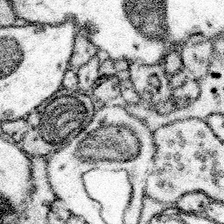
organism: Mouse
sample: Somatosensory cortex neuropil